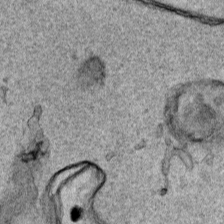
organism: Human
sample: Mitochondria in HCT116 cells